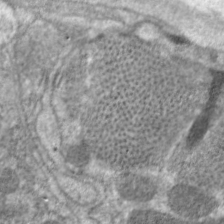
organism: C. elegans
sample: Pharynx